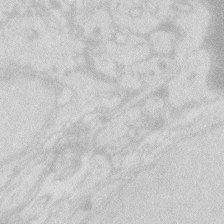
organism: Zebrafish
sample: Macrophage